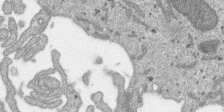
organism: Human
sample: Lung epithelial cells infected with SARS-CoV-2